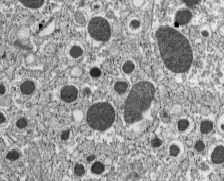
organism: C57BL Mouse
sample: Pancreatic islet